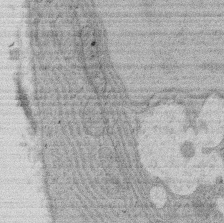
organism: Rat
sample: Salivary granule